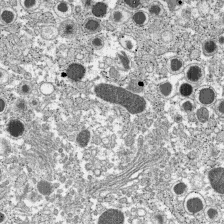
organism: C57BL Mouse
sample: Pancreatic islet